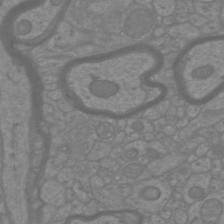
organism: Mouse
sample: Cortical neurons